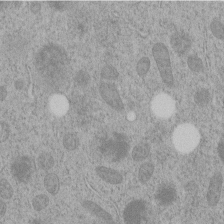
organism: C. elegans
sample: C. elegans embryo early stage